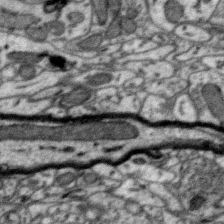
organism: Zebra finch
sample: Brain